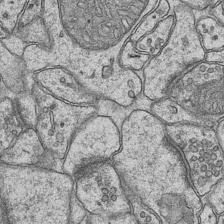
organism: Mouse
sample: CA1 Hippocampus